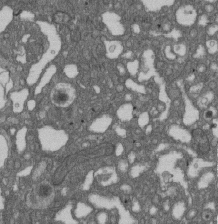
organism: Drosophila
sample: Nephrocyte